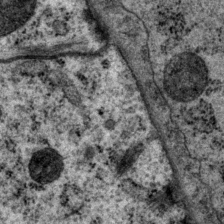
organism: P. pacificus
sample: Pharynx